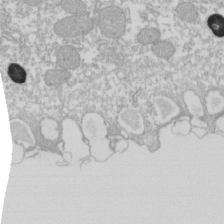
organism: Xenopus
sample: Cilia; centrioles in frog embryo cells